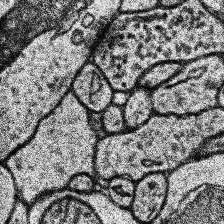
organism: Human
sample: Temporal Lobe